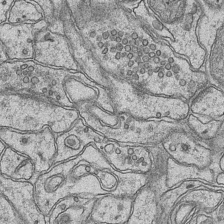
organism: Mouse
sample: CA1 Hippocampus